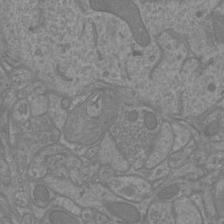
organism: Mouse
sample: Cortical neurons